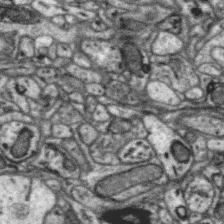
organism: Zebra finch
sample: Brain